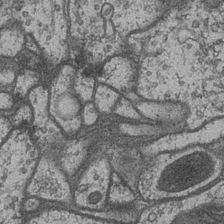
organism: Drosophila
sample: Optic medulla